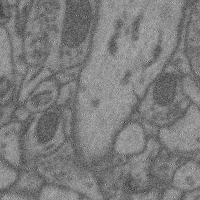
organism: Mouse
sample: Cerebral cortex